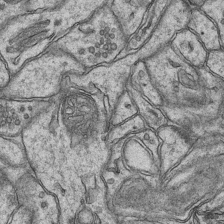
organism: Mouse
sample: CA1 Hippocampus